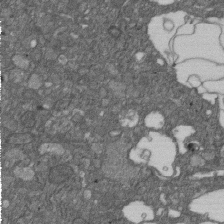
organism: Drosophila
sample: Nephrocyte